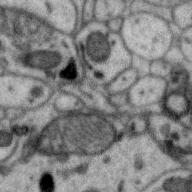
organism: Zebra finch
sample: Brain